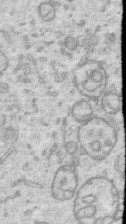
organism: Human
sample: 1205lu cells